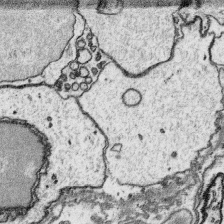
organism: Platynereis dumerilii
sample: Parapodia